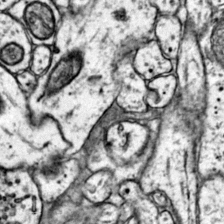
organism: Mouse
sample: Primary visual cortex